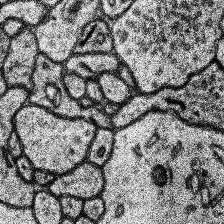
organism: Human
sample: Temporal Lobe